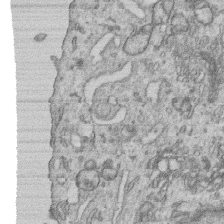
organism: Human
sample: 1205lu cells